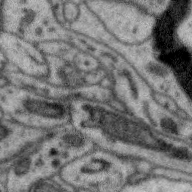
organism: Zebra finch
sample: Brain